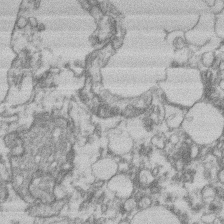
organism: Mouse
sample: T cell stromal cell synapse